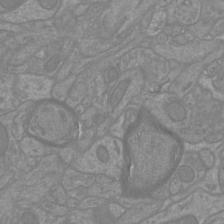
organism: Mouse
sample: Cortical neurons